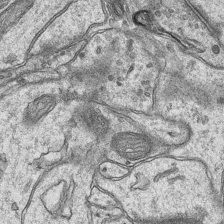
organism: Mouse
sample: CA1 Hippocampus